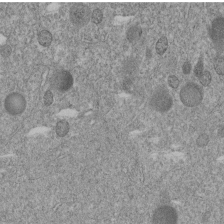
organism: C. elegans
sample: C. elegans embryo early stage